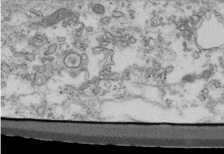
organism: Mouse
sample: Cilia; retinal pigment epithelium